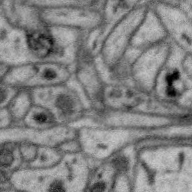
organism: Zebra finch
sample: Brain